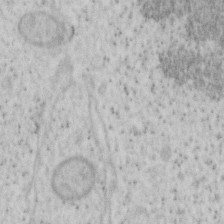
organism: Human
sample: HeLa cells